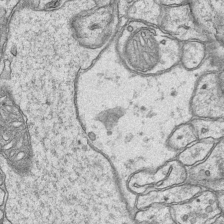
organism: Mouse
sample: CA1 Hippocampus